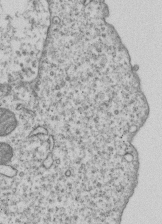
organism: Human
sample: MDA-MB-231 cells